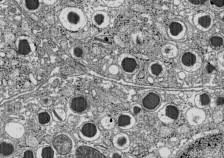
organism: C57BL Mouse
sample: Pancreatic islet